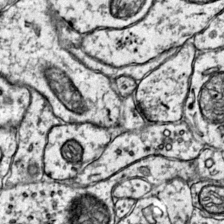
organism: Mouse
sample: Primary visual cortex